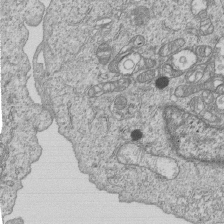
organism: Human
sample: MDA-MB-231 cells